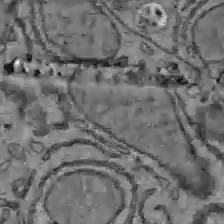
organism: C57BL Mouse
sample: Liver